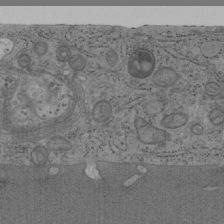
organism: Human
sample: HeLa cells